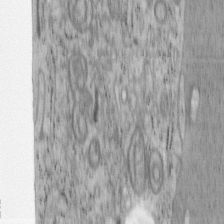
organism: Human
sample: HeLa cells